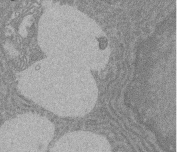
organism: Rat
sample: Salivary granule